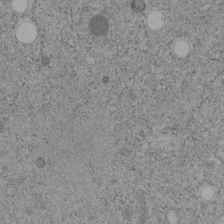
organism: C. elegans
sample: C. elegans embryo early stage